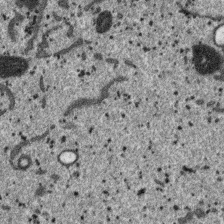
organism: Human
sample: Lung epithelial cells infected with SARS-CoV-2